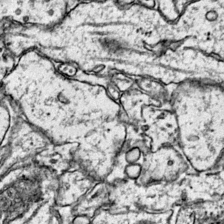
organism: Mouse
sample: Primary visual cortex